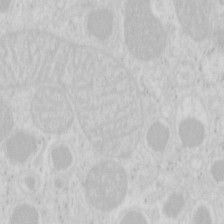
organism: Mouse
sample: Pancreas